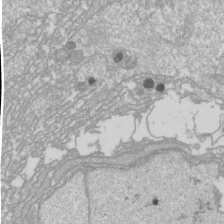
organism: Drosophila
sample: Cell division; meiosis; drosophila spermatocytes